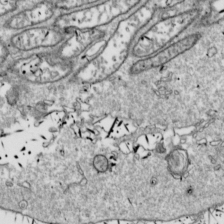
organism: Drosophila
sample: Cell division; meiosis; drosophila spermatocytes